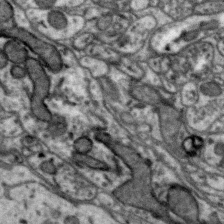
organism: Zebra finch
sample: Brain